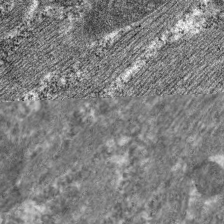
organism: C. elegans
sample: Pharynx